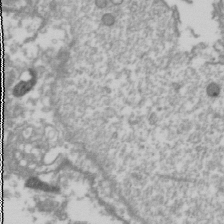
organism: Drosophila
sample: Cell division; meiosis; drosophila spermatocytes